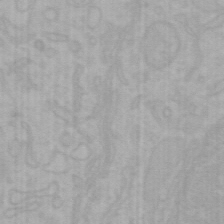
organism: Mouse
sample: Choroid plexus